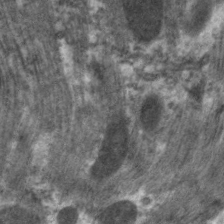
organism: C. elegans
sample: Pharynx